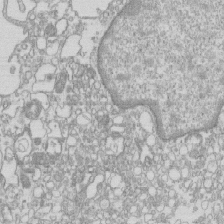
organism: Mouse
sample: Macrophages